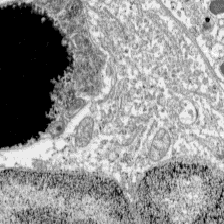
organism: C57BL Mouse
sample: Pancreatic islet